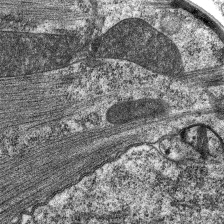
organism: C. elegans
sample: Pharynx